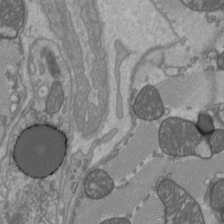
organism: C57BL Mouse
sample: Heart